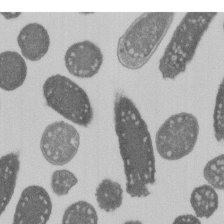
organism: E. coli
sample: Bacterial nucleoid